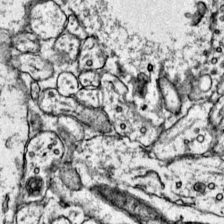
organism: Mouse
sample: Primary visual cortex